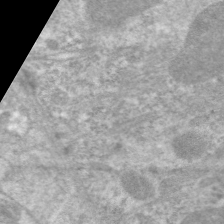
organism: C. elegans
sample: Pharynx